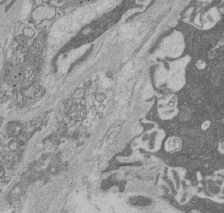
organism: Rat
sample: Salivary granule